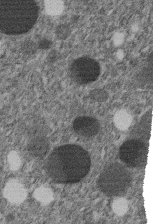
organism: C. elegans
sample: C. elegans embryo early stage